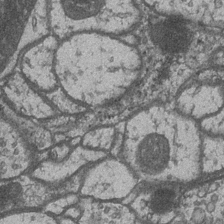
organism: Drosophila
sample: Optic medulla